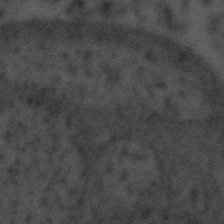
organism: Tuwongella immobilis